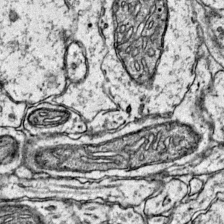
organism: Mouse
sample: Primary visual cortex